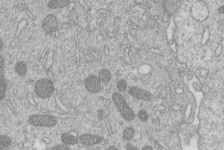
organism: Human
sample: Macrophage cells